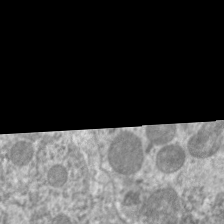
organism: C. elegans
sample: Pharynx